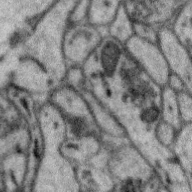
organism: Zebra finch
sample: Brain